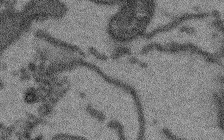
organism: Arabidopsis thaliana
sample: Root tip